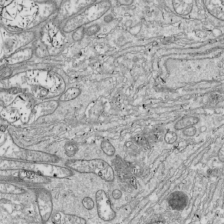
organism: Drosophila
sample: Cell division; meiosis; drosophila spermatocytes